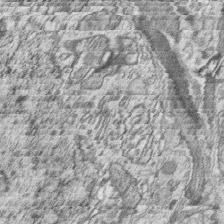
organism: Zebrafish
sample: synaptic ribbons in rod cells and cone cells